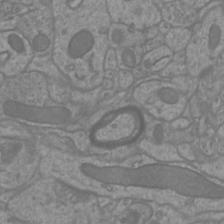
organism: Mouse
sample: Cortical neurons